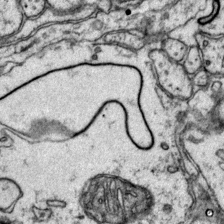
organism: Mouse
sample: Primary visual cortex